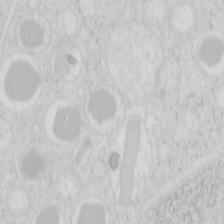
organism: Mouse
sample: Pancreas